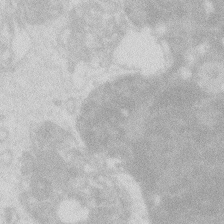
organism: Zebrafish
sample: Macrophage